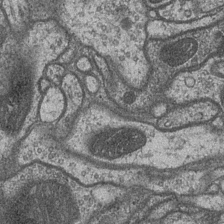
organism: Drosophila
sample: Optic medulla